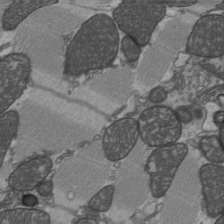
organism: C57BL Mouse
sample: Heart